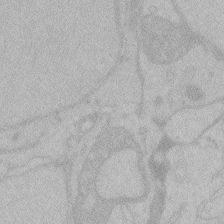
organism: Zebrafish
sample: Macrophage infected with Toxoplasma gondii